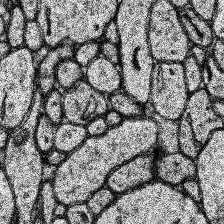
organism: Human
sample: Temporal Lobe